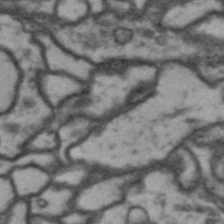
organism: Drosophila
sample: Brain